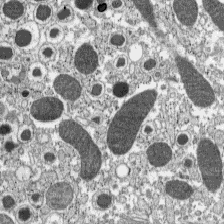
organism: C57BL Mouse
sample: Pancreatic islet